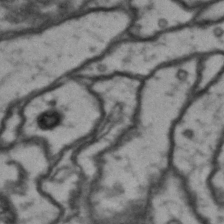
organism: Drosophila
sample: Brain